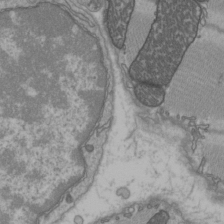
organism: C57BL Mouse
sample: Heart